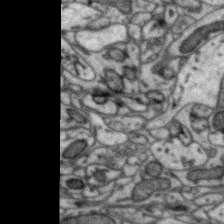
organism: Zebra finch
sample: Brain